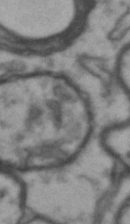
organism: Drosophila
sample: Brain